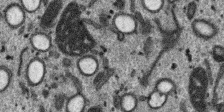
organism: Human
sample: Lung epithelial cells infected with SARS-CoV-2